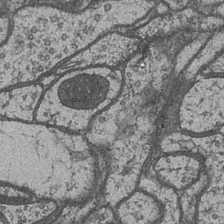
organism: Drosophila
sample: Optic medulla